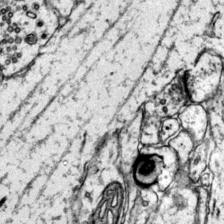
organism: Mouse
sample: Primary visual cortex